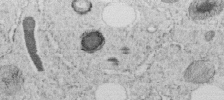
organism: C. elegans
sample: C. elegans embryo early stage